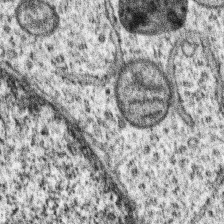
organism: Human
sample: HeLa cells